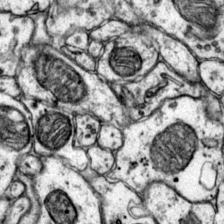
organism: Mouse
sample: Primary visual cortex